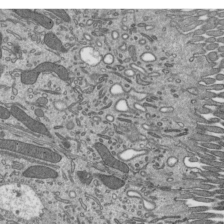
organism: Mouse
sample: Mouse epididymis efferent ductule cilia